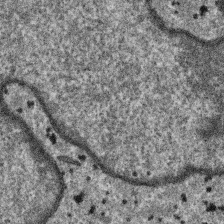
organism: Human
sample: Lung epithelial cells infected with SARS-CoV-2